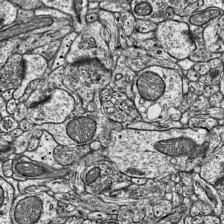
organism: Mouse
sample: Visual Cortex